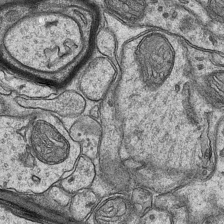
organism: Mouse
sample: CA1 Hippocampus